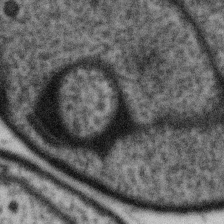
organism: Gemmata obscuriglobus